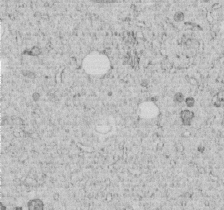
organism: C. elegans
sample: C. elegans embryo early stage